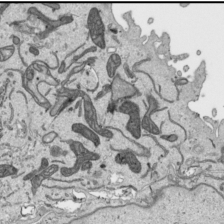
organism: Human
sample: Mitochondria in HCT116 cells